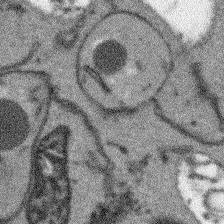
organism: Arabidopsis thaliana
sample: Root tip